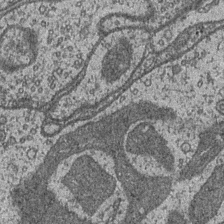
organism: Drosophila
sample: Optic medulla